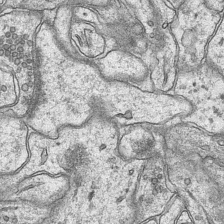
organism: Mouse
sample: CA1 Hippocampus